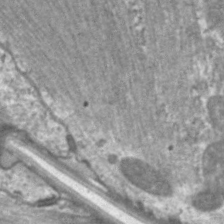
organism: C. elegans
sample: Pharynx